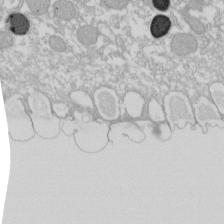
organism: Xenopus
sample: Cilia; centrioles in frog embryo cells